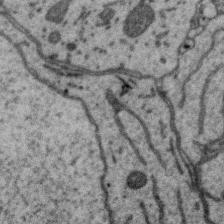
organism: Zebra finch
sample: Brain